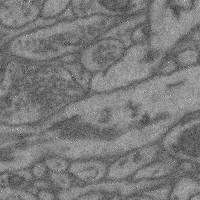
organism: Mouse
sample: Cerebral cortex